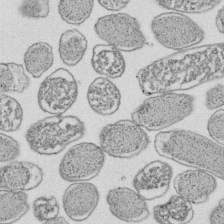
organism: E. coli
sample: Bacterial nucleoid